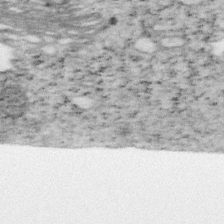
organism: Mouse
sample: OT-I killer T cells with ID8 ovarian cancer cells